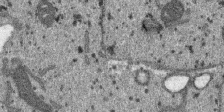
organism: Human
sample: Lung epithelial cells infected with SARS-CoV-2